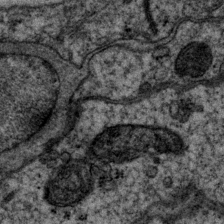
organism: P. pacificus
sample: Pharynx